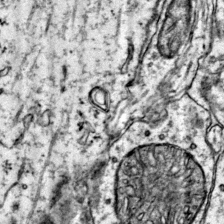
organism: Mouse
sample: Primary visual cortex